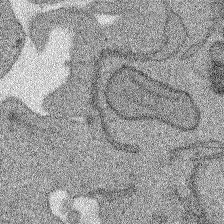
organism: Human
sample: HeLa cells